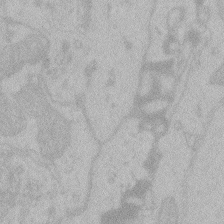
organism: Zebrafish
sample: Macrophage infected with Toxoplasma gondii